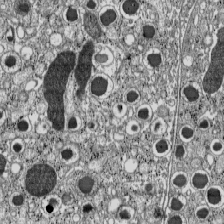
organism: C57BL Mouse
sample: Pancreatic islet